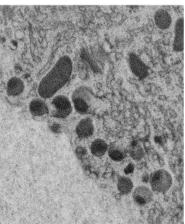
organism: C. elegans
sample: C. elegans oocyte; sperm cells